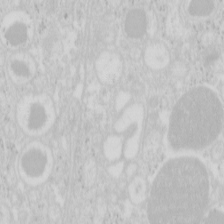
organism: Mouse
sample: Pancreas